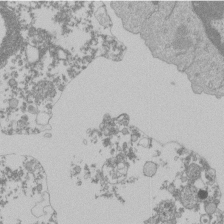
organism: Mouse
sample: Activated Pmel transgenic CD8+ T Cells